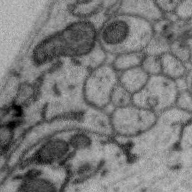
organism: Zebra finch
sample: Brain